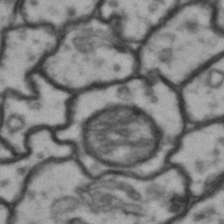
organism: Drosophila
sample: Brain